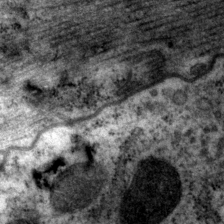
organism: P. pacificus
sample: Pharynx